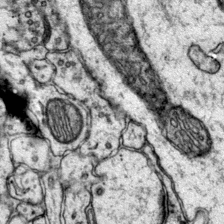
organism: Mouse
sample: Primary visual cortex